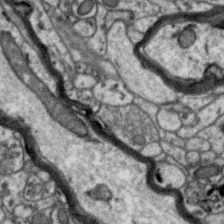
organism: Zebra finch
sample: Brain